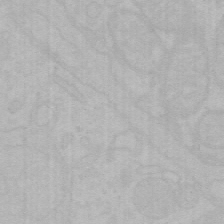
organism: Mouse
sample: Choroid plexus